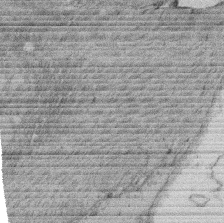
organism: Rat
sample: Salivary granule